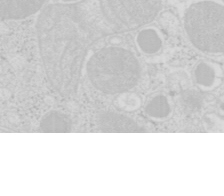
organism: Mouse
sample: Pancreas